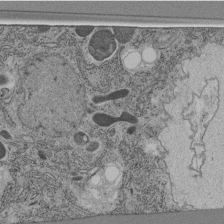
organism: C. elegans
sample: C. elegans pharynx